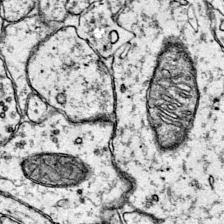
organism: Mouse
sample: Primary visual cortex